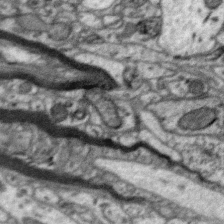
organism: Zebra finch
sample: Brain